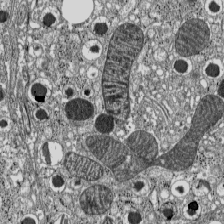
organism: C57BL Mouse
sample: Pancreatic islet